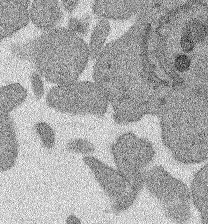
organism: Human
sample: HeLa cells